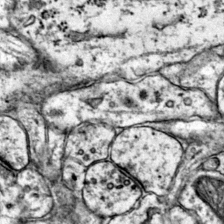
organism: Mouse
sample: Primary visual cortex